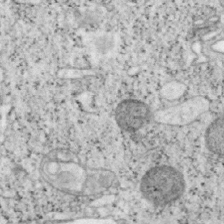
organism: Mouse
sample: OT-I killer T cells with ID8 ovarian cancer cells